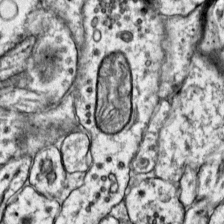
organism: Mouse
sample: Primary visual cortex